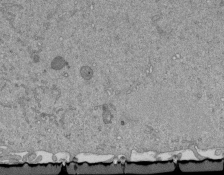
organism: Mouse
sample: ED-1 cell nuclei; centrioles